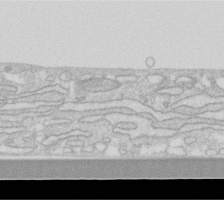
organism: Human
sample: Fibroblast cells